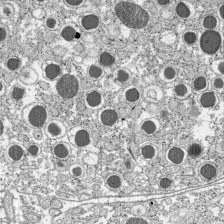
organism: C57BL Mouse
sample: Pancreatic islet